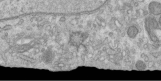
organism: Human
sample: Centriole in RPE cells